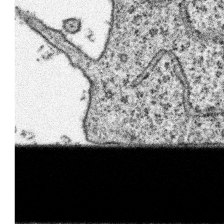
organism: Human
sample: HeLa cells